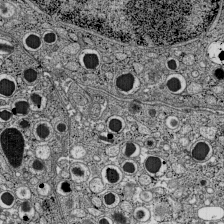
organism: C57BL Mouse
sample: Pancreatic islet